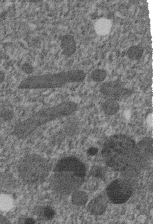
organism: C. elegans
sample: C. elegans embryo early stage